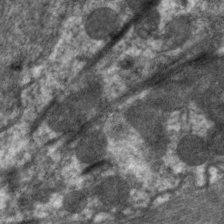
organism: C. elegans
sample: Pharynx